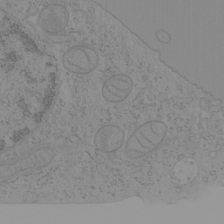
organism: Human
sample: HeLa cells